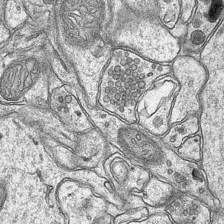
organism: Mouse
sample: CA1 Hippocampus